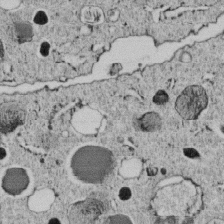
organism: C. elegans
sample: C. elegans embryo early stage